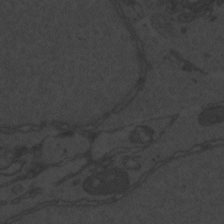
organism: Zebrafish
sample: Macrophage infected with Toxoplasma gondii